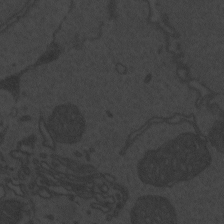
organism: Zebrafish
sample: Macrophage infected with Toxoplasma gondii